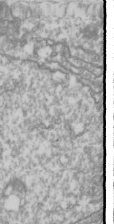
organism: Drosophila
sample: Cell division; meiosis; drosophila spermatocytes